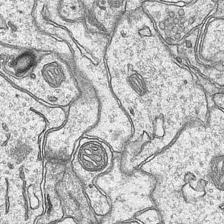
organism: Mouse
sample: CA1 Hippocampus